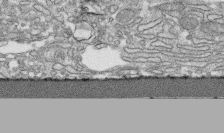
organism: Human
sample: CRL-1474